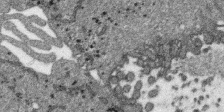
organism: Human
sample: Lung epithelial cells infected with SARS-CoV-2